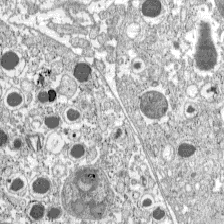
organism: C57BL Mouse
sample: Pancreatic islet